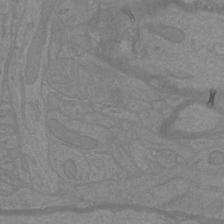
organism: Mouse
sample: Cortical neurons